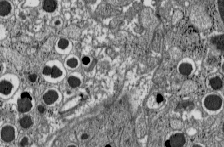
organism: C57BL Mouse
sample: Pancreatic islet